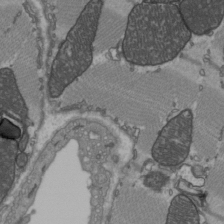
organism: C57BL Mouse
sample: Heart